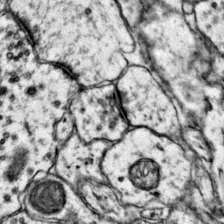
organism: Mouse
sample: Primary visual cortex